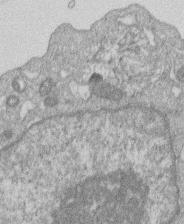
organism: Human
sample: Macrophage cells